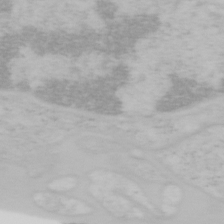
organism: Mouse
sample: OT-I killer T cells with ID8 ovarian cancer cells